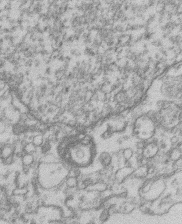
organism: Mouse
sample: T cell stromal cell synapse